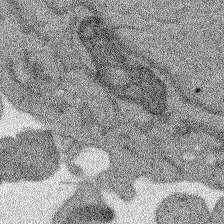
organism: Human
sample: HeLa cells